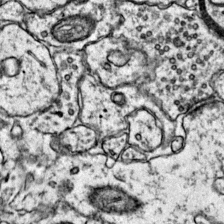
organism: Mouse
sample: Primary visual cortex